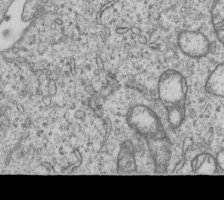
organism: Human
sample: MDA-MB-231 cells